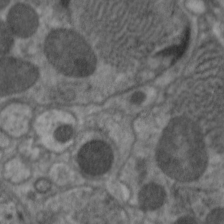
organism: C. elegans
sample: Pharynx